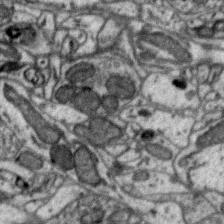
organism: Zebra finch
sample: Brain